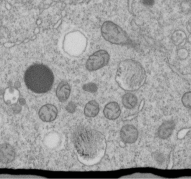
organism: C. elegans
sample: C. elegans embryo early stage